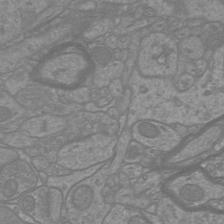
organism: Mouse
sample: Cortical neurons